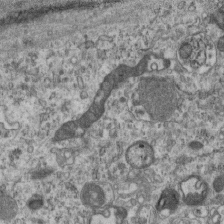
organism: Mouse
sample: Centriole in ependymal cells